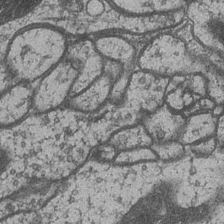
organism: Drosophila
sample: Optic medulla